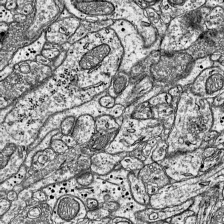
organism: Mouse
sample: Visual Cortex